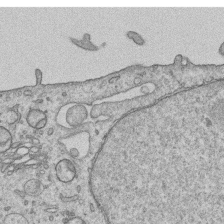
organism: Human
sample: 1205lu cells